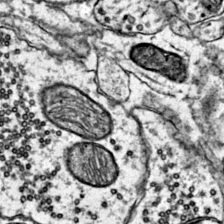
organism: Mouse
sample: Primary visual cortex